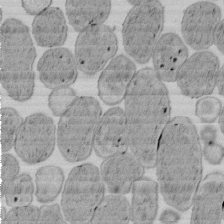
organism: E. coli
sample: Bacterial nucleoid